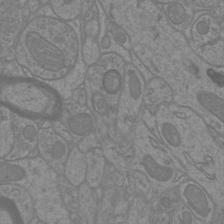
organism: Mouse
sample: Cortical neurons